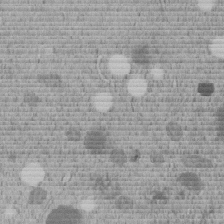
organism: C. elegans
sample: C. elegans embryo early stage